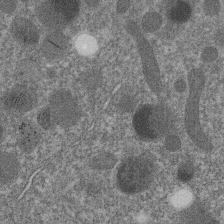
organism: C. elegans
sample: C. elegans embryo early stage